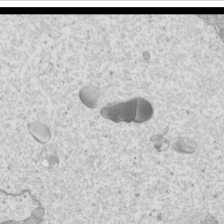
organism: Mouse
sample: Cilia; mouse epididymis